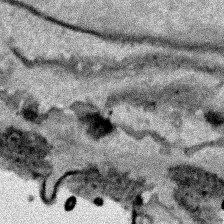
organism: Human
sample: Mitochondria in HCT116 cells